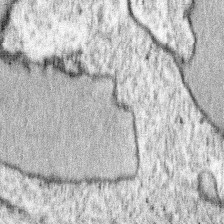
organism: Human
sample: HeLa cells